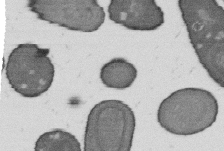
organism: B. subtilis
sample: Bacterial spore